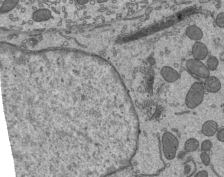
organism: Mouse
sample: Mouse epididymis efferent ductule cilia